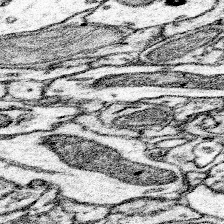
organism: Mouse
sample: Somatosensory cortex neuropil